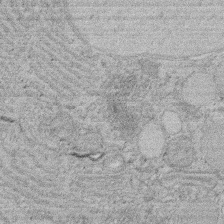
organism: Rat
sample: Salivary granule